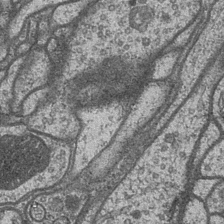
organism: Drosophila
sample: Optic medulla